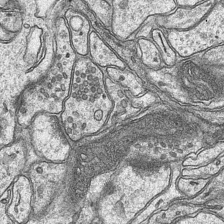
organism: Mouse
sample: CA1 Hippocampus